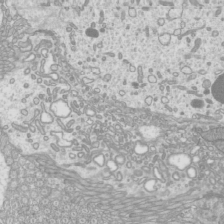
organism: Mouse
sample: Cilia; mouse epididymis